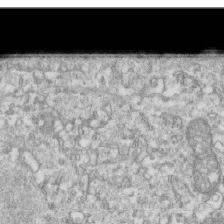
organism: Mouse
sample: Activated OT-1 CD8+ T cells